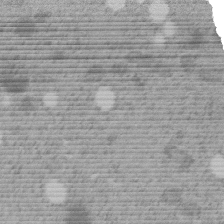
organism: C. elegans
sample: C. elegans embryo early stage